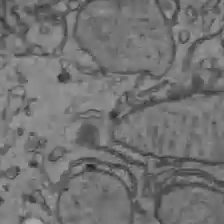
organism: C57BL Mouse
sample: Liver